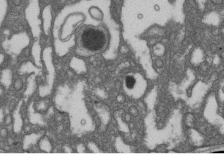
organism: Drosophila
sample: Nephrocyte